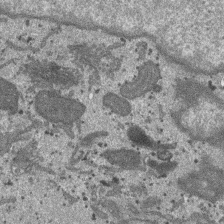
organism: Human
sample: Lung epithelial cells infected with SARS-CoV-2